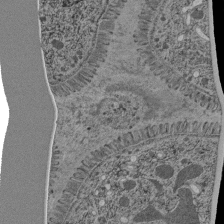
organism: C. elegans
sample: C. elegans pharynx